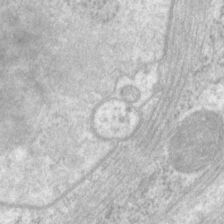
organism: P. pacificus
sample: Pharynx